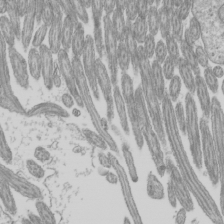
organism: Mouse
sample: Cilia; mouse epididymis